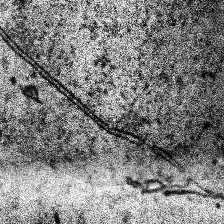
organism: Human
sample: Temporal Lobe